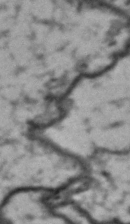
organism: Drosophila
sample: Brain